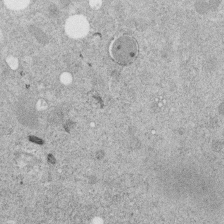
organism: C. elegans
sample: C. elegans embryo early stage